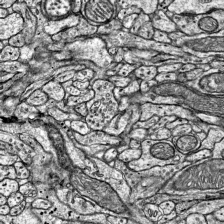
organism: Mouse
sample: Visual Cortex